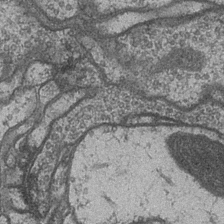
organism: Drosophila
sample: Optic medulla